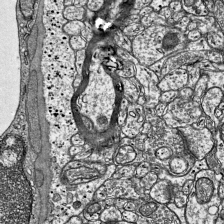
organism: Mouse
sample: Visual Cortex